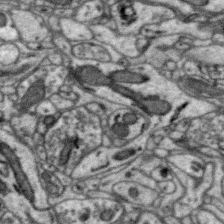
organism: Zebra finch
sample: Brain